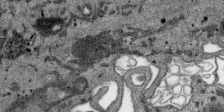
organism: Human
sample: Lung epithelial cells, uninfected (mock) control